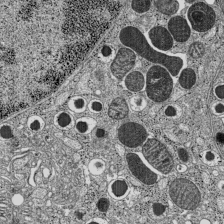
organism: C57BL Mouse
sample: Pancreatic islet